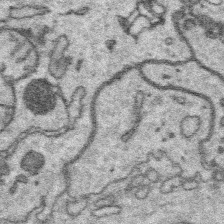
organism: Platynereis dumerilii